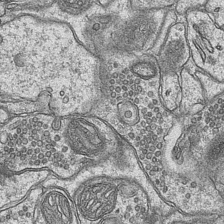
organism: Mouse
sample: CA1 Hippocampus